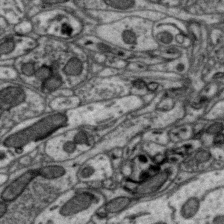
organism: Zebra finch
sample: Brain